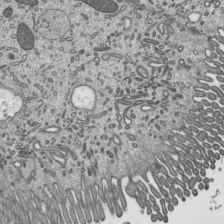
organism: Mouse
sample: Mouse epididymis efferent ductule cilia